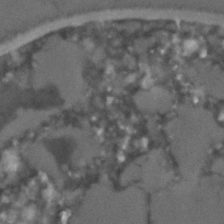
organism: C. elegans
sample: C. elegans embryo